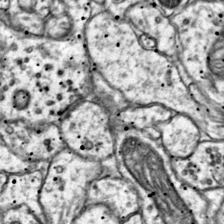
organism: Mouse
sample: Primary visual cortex